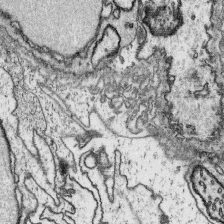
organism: Platynereis dumerilii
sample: Parapodia